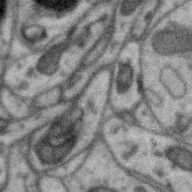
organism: Zebra finch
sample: Brain